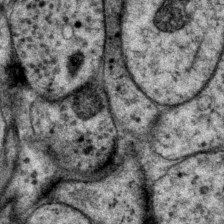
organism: P. pacificus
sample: Pharynx